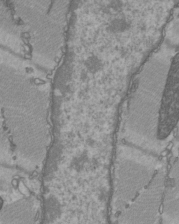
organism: C57BL Mouse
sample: Heart